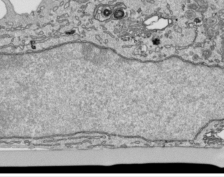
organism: Human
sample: Mitochondria in HCT116 cells